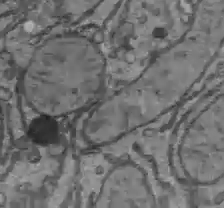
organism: C57BL Mouse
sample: Liver